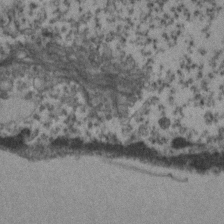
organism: Zebrafish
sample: Zebrafish embryo